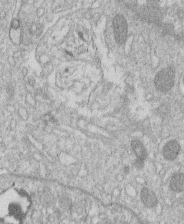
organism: Human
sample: Macrophage cells